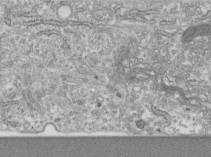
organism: Human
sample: Centriole in RPE cells